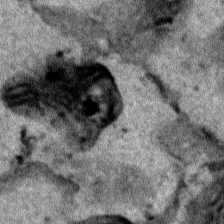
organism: Human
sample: Mitochondria in HCT116 cells